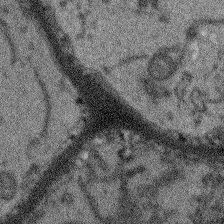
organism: Arabidopsis thaliana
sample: Root tip